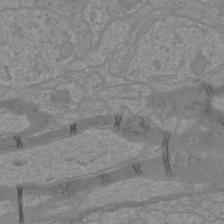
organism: Mouse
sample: Cortical neurons